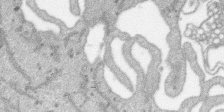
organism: Human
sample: Lung epithelial cells infected with SARS-CoV-2